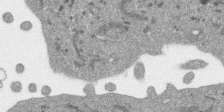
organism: Human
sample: Lung epithelial cells infected with SARS-CoV-2